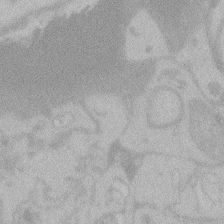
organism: Zebrafish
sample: Macrophage infected with Toxoplasma gondii